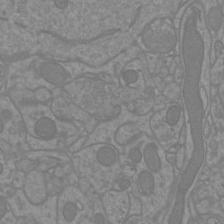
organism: Mouse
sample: Cortical neurons